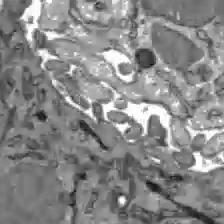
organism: C57BL Mouse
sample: Liver